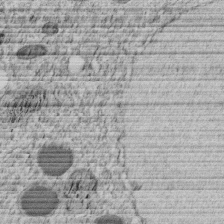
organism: C. elegans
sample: C. elegans embryo early stage